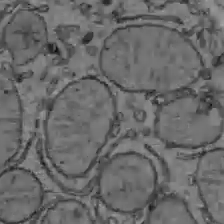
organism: C57BL Mouse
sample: Liver